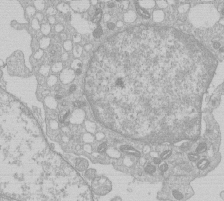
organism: Human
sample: Macrophage cells